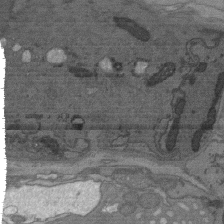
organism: C. elegans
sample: AFD neurons C. elegans